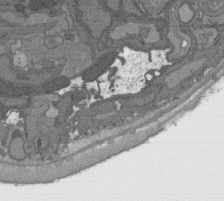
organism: C. elegans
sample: AFD neurons C. elegans